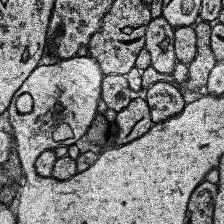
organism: Human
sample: Temporal Lobe